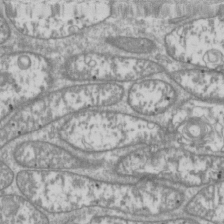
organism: Drosophila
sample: Cell division; meiosis; drosophila spermatocytes